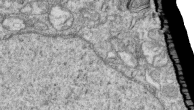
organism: Human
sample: HeLa cell HIV synapse